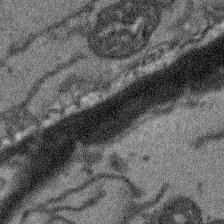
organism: Arabidopsis thaliana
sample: Root tip